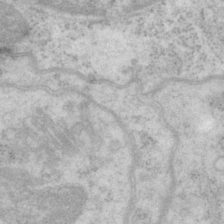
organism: P. pacificus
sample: Pharynx